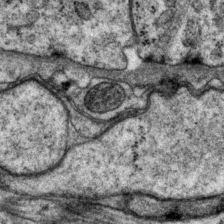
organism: P. pacificus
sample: Pharynx